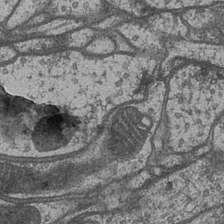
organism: Drosophila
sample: Optic medulla